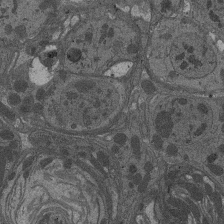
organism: Drosophila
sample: Antenna